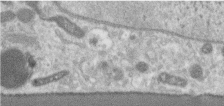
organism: Human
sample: Centriole in RPE cells